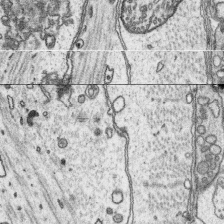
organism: Platynereis dumerilii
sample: Parapodia